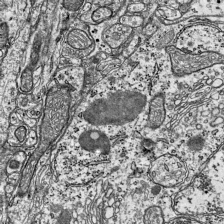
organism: Mouse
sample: Visual Cortex